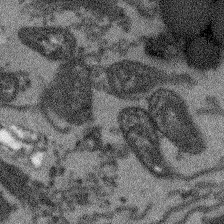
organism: Arabidopsis thaliana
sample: Root tip